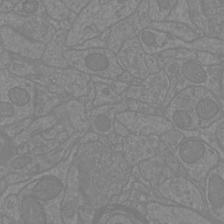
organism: Mouse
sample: Cortical neurons